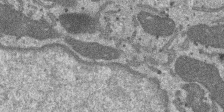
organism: Human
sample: Lung epithelial cells infected with SARS-CoV-2